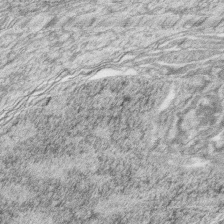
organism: Zebrafish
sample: synaptic ribbons in rod cells and cone cells